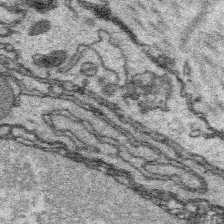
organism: Platynereis dumerilii